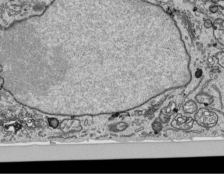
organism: Human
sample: Mitochondria in HCT116 cells